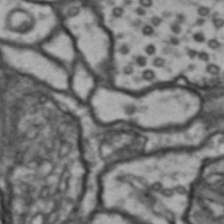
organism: Drosophila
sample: Brain